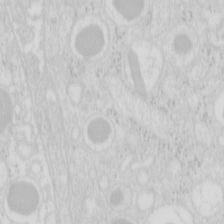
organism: Mouse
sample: Pancreas